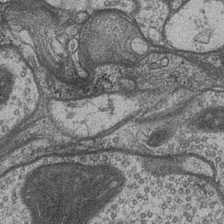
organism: Drosophila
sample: Optic medulla